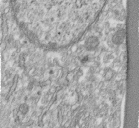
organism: Human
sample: Centriole in fibroblast cells